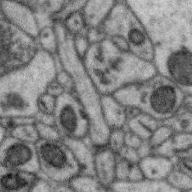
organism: Zebra finch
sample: Brain